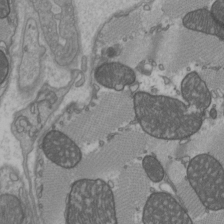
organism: C57BL Mouse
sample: Heart